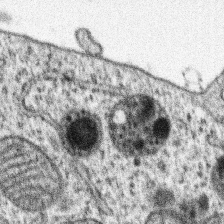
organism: Human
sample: HeLa cells